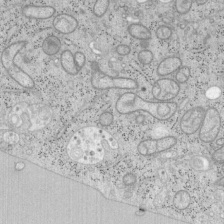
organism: Mouse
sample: OT-I killer T cells with ID8 ovarian cancer cells